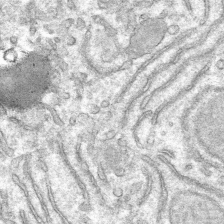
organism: Mouse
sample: Mouse hepatocytes